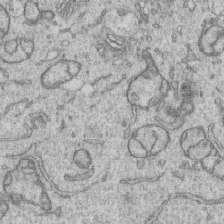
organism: Human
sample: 1205lu cells